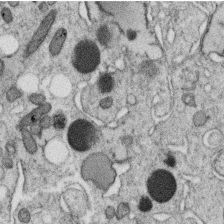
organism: C. elegans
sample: C. elegans oocyte; sperm cells